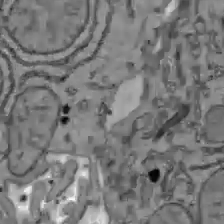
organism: C57BL Mouse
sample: Liver